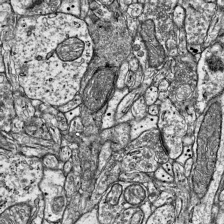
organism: Mouse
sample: Visual Cortex